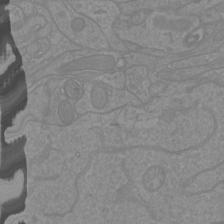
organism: Mouse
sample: Cortical neurons